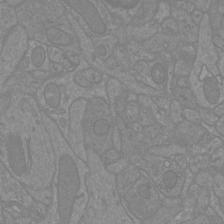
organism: Mouse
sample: Cortical neurons